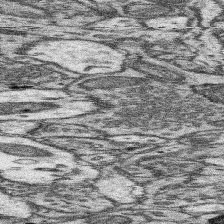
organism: Mouse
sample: Somatosensory cortex neuropil